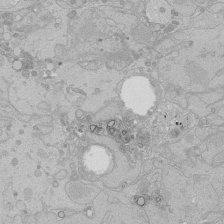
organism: Human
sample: Caco-2 cells